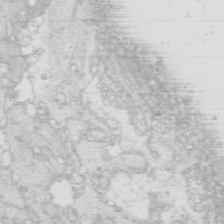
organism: Mouse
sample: Multiciliated cells